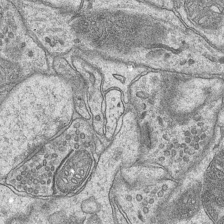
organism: Mouse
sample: CA1 Hippocampus